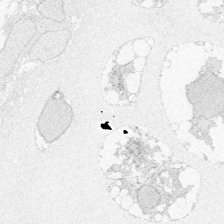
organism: Zebrafish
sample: Whole-Brain